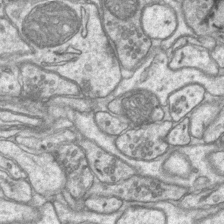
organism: Mouse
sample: CA1 Hippocampus